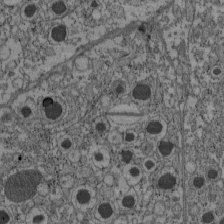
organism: C57BL Mouse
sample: Pancreatic islet